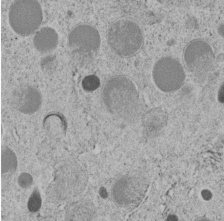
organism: C. elegans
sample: C. elegans embryo early stage